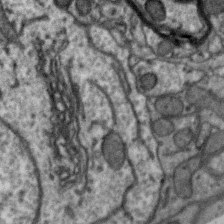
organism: Zebra finch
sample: Brain